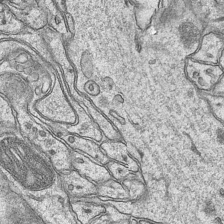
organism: Mouse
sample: CA1 Hippocampus